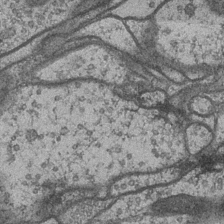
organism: Drosophila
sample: Optic medulla